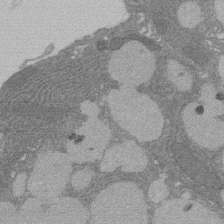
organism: Rat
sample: Salivary granule